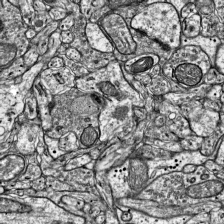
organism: Mouse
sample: Visual Cortex